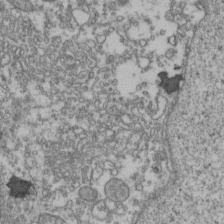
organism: Human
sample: Activated Jurkat CD4+ T cells